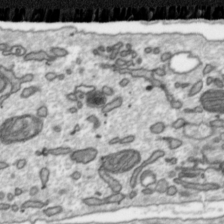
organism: Toxoplasma gondii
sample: Parasites in a vacuole inside a host cell